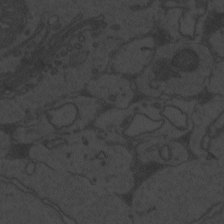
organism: Zebrafish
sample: Macrophage infected with Toxoplasma gondii